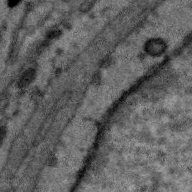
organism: Zebra finch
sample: Brain